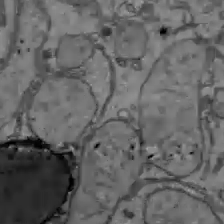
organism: C57BL Mouse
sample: Liver